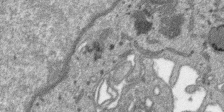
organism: Human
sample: Lung epithelial cells infected with SARS-CoV-2